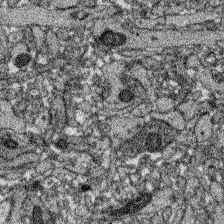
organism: Zebrafish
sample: Larval olfactory bulb